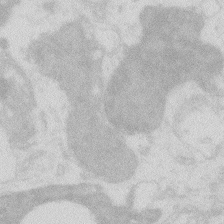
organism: Zebrafish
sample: Macrophage